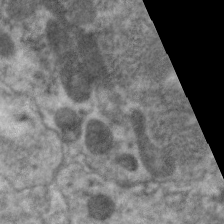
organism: C. elegans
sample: Pharynx